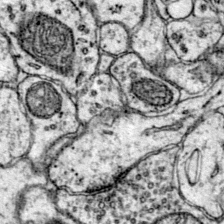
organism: Mouse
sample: Primary visual cortex